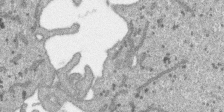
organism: Human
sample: Lung epithelial cells infected with SARS-CoV-2